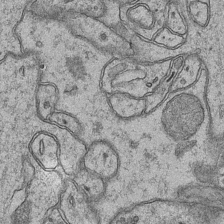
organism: Mouse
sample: CA1 Hippocampus